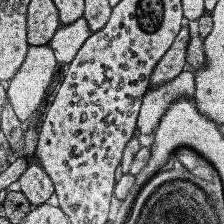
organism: Human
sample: Temporal Lobe